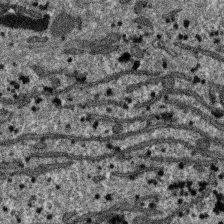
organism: Human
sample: Lung epithelial cells infected with SARS-CoV-2